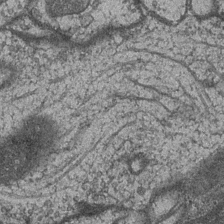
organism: Drosophila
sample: Optic medulla